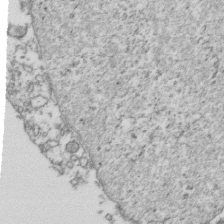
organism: Human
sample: Activated Jurkat CD4+ T cells